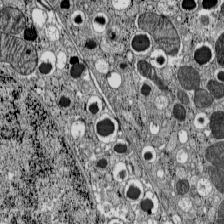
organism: C57BL Mouse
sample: Pancreatic islet